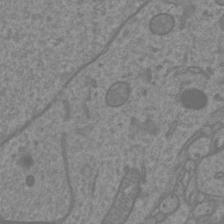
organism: Mouse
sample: Cortical neurons